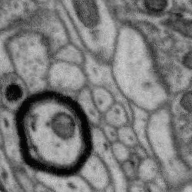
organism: Zebra finch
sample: Brain